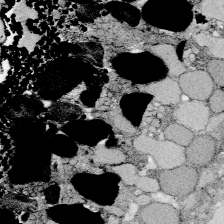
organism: Zebrafish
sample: Whole-Brain